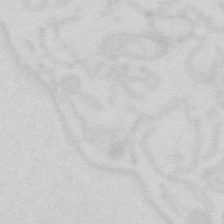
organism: Human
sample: HeLa cells